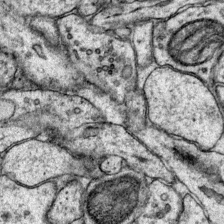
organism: Mouse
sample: Primary visual cortex